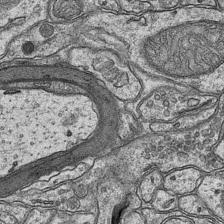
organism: Mouse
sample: CA1 Hippocampus